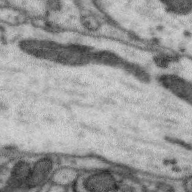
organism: Zebra finch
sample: Brain